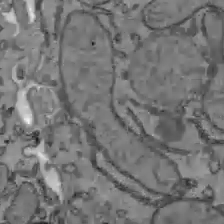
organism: C57BL Mouse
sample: Liver